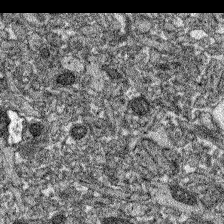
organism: Zebrafish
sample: Larval olfactory bulb